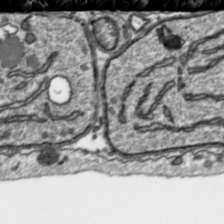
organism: Toxoplasma gondii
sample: Parasites in a vacuole inside a host cell